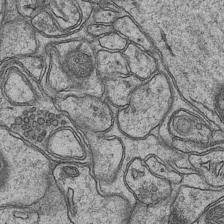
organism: Mouse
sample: CA1 Hippocampus